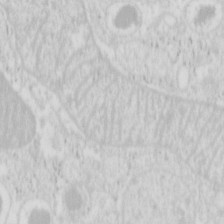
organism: Mouse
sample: Pancreas